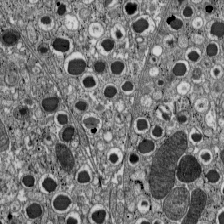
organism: C57BL Mouse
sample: Pancreatic islet